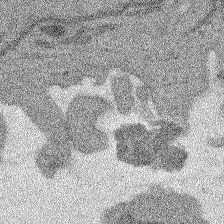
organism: Human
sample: HeLa cells